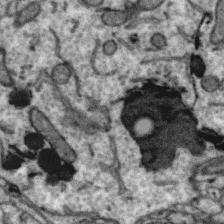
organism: Zebra finch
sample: Brain